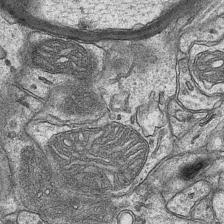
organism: Mouse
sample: CA1 Hippocampus